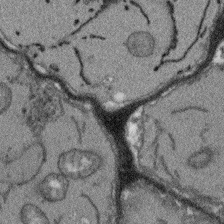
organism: Arabidopsis thaliana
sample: Root tip